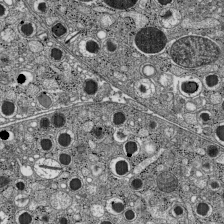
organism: C57BL Mouse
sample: Pancreatic islet